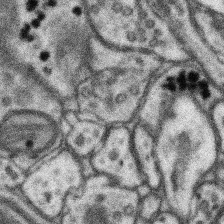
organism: Mouse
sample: Somatosensory cortex neuropil